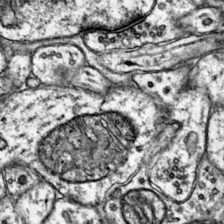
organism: Mouse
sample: Primary visual cortex